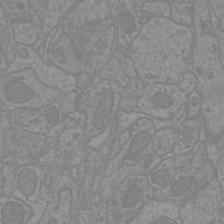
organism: Mouse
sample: Cortical neurons